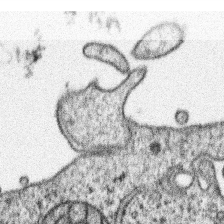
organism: Human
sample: HeLa cells